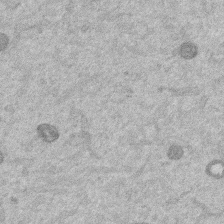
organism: Mouse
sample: Dividing mouse embryo 1 cell stage